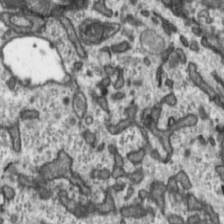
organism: Toxoplasma gondii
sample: Parasites in a vacuole inside a host cell